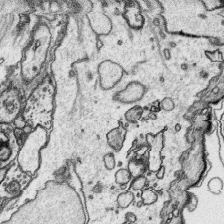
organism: Platynereis dumerilii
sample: Parapodia